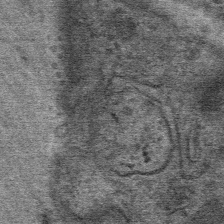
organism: Mouse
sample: Mouse Salivary gland